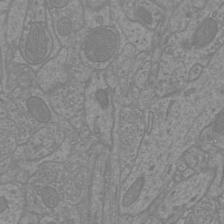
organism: Mouse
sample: Cortical neurons